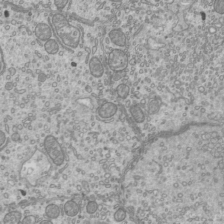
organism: Mouse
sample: Cilia; mouse epididymis